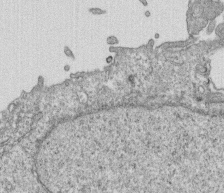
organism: Human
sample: HeLa cell HIV synapse